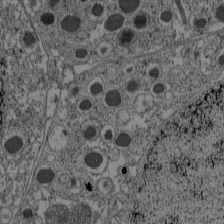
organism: C57BL Mouse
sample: Pancreatic islet